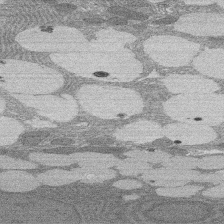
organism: Rat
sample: Salivary granule